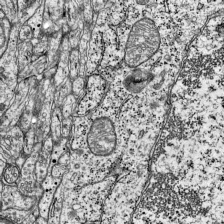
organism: Mouse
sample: Visual Cortex